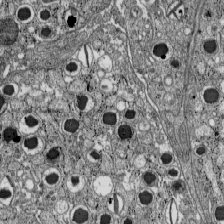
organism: C57BL Mouse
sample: Pancreatic islet